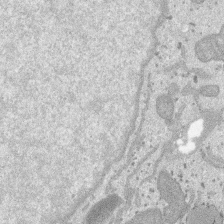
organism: Human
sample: Lung epithelial cells infected with SARS-CoV-2